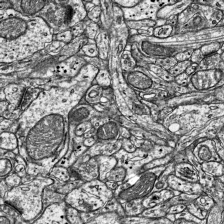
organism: Mouse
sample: Visual Cortex